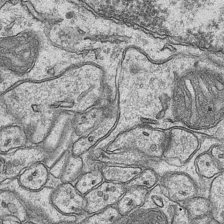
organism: Mouse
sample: CA1 Hippocampus